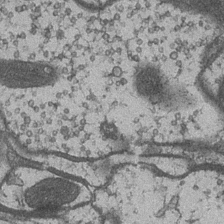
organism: Drosophila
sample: Optic medulla